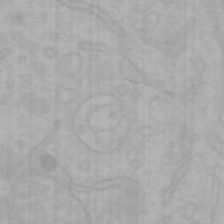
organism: Mouse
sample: Choroid plexus